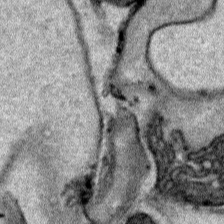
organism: Human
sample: Mitochondria in HCT116 cells